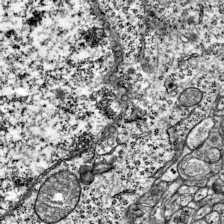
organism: Mouse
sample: Visual Cortex